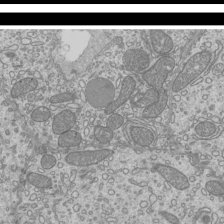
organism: Mouse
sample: Cilia; mouse epididymis